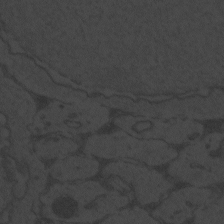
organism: Zebrafish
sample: Macrophage infected with Toxoplasma gondii